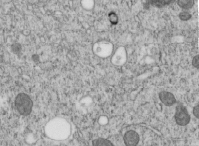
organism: C. elegans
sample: C. elegans embryo early stage